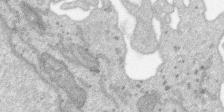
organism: Human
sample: Lung epithelial cells infected with SARS-CoV-2